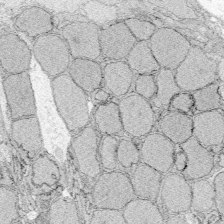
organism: Zebrafish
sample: Whole-Brain